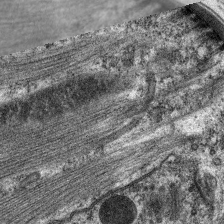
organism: C. elegans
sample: Pharynx